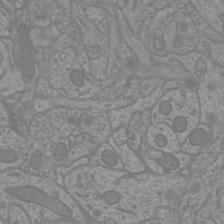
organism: Mouse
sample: Cortical neurons